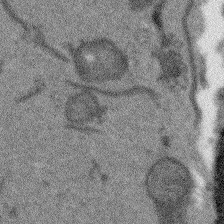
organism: Arabidopsis thaliana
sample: Root tip